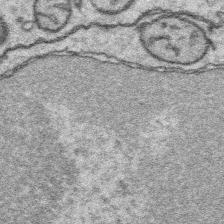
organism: Platynereis dumerilii